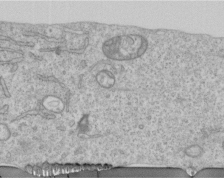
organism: Human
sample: Centriole in RPE cells